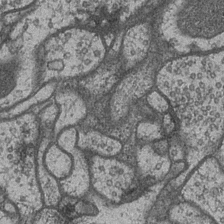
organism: Drosophila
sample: Optic medulla